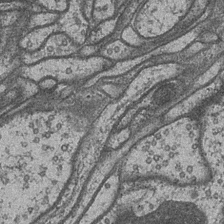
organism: Drosophila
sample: Optic medulla